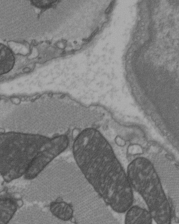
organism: C57BL Mouse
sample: Heart